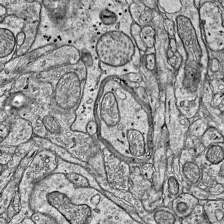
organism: Mouse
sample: Visual Cortex